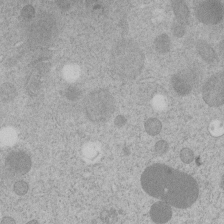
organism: C. elegans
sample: C. elegans embryo early stage